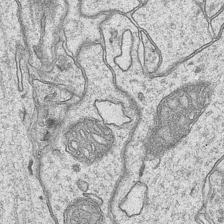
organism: Mouse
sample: CA1 Hippocampus